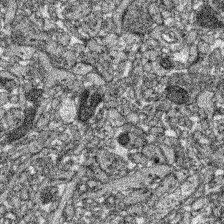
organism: Zebrafish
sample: Larval olfactory bulb